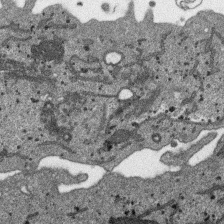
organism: Human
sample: Lung epithelial cells infected with SARS-CoV-2